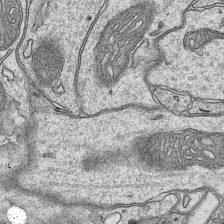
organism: Mouse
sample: CA1 Hippocampus